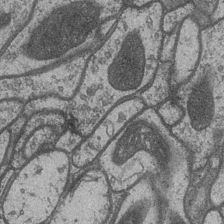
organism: Drosophila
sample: Optic medulla